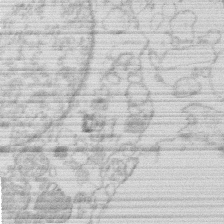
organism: Human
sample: Macrophage cells